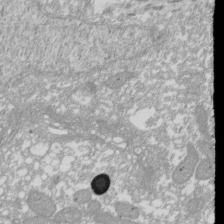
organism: Xenopus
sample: Cilia; centrioles in frog embryo cells